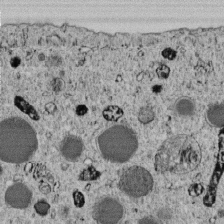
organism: C. elegans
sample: C. elegans embryo early stage